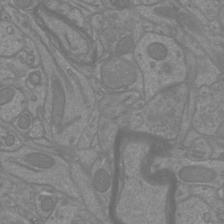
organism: Mouse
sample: Cortical neurons